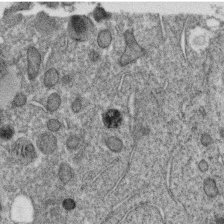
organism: C. elegans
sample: C. elegans oocyte; sperm cells